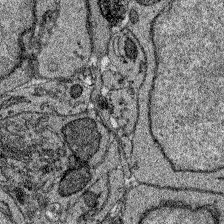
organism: Zebrafish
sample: Larval olfactory bulb